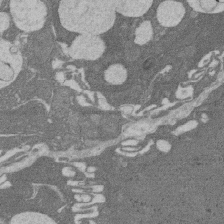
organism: Rat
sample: Salivary granule